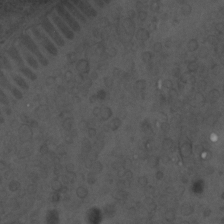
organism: C. elegans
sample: C. elegans embryo